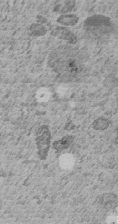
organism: C. elegans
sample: C. elegans embryo early stage